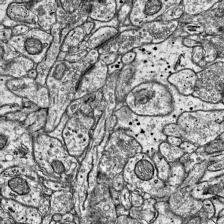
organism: Mouse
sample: Visual Cortex